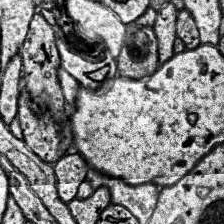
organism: Human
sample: Temporal Lobe